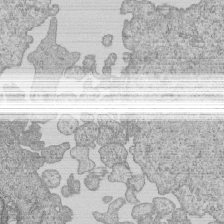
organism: Human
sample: MDA-MB-231 cells